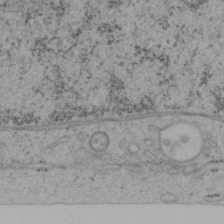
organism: Human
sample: HeLa cells